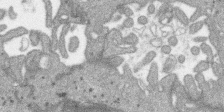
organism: Human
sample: Lung epithelial cells infected with SARS-CoV-2